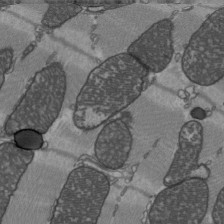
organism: C57BL Mouse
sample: Heart